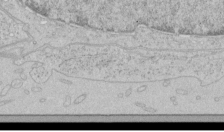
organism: Human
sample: Mitochondria in HCT116 cells